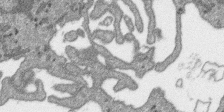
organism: Human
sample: Lung epithelial cells infected with SARS-CoV-2